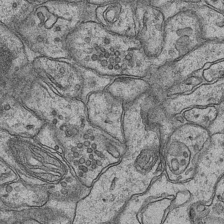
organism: Mouse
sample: CA1 Hippocampus